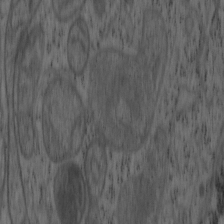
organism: Human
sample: HeLa cells